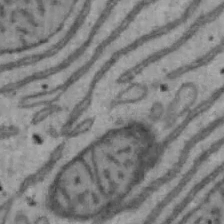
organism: Mouse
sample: Liver